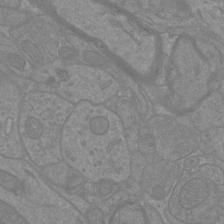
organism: Mouse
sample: Cortical neurons